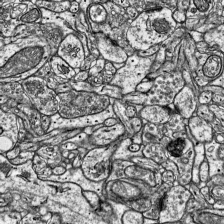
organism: Mouse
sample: Visual Cortex